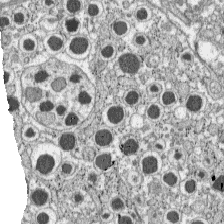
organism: C57BL Mouse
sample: Pancreatic islet